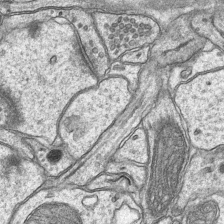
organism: Mouse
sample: CA1 Hippocampus